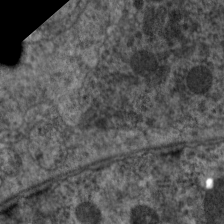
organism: C. elegans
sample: Pharynx